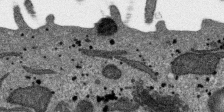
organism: Human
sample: Lung epithelial cells, uninfected (mock) control